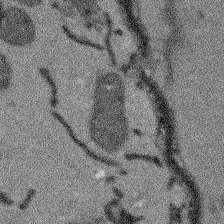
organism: Arabidopsis thaliana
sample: Root tip